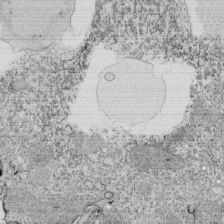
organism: Tetrahymena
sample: Cilia in tetrahymena